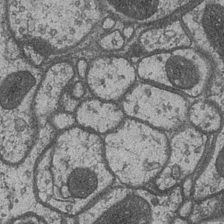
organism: Drosophila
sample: Optic medulla